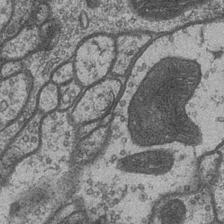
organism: Drosophila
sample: Optic medulla